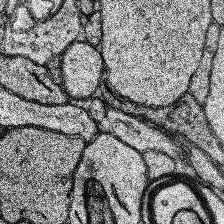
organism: Human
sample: Temporal Lobe